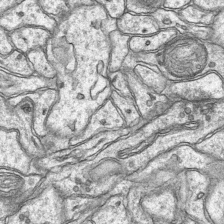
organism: Mouse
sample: CA1 Hippocampus